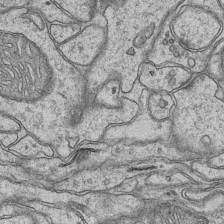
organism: Mouse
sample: CA1 Hippocampus